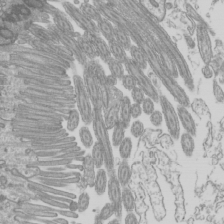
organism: Mouse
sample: Cilia; mouse epididymis